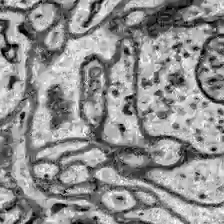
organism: Zebrafish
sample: Brain